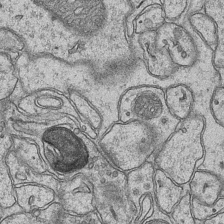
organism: Mouse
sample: CA1 Hippocampus